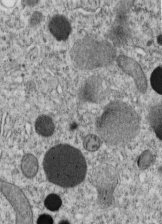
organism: C. elegans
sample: C. elegans embryo early stage